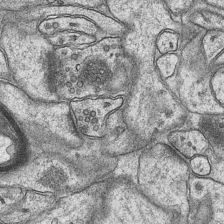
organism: Mouse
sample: CA1 Hippocampus